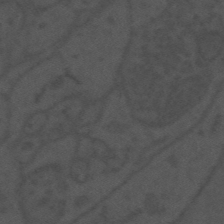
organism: Mouse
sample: Suprachiasmatic nucleus